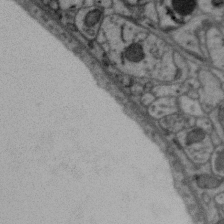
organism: Zebra finch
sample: Brain